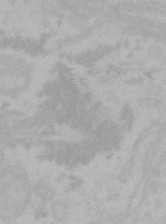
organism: Mouse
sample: Choroid plexus